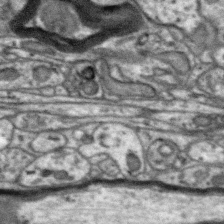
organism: Zebra finch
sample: Brain